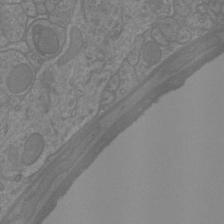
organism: Mouse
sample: Cortical neurons